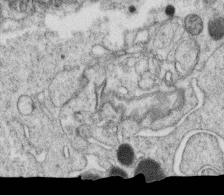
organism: C. elegans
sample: C. elegans oocyte; sperm cells